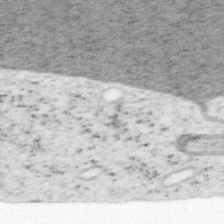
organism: Mouse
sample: OT-I killer T cells with ID8 ovarian cancer cells